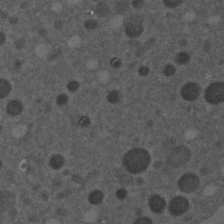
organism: C. elegans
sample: C. elegans embryo